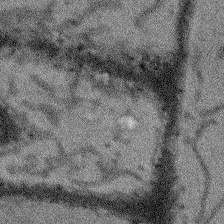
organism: Arabidopsis thaliana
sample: Root tip